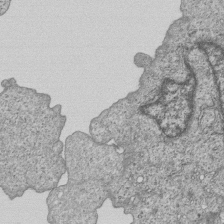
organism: Human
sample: MDA-MB-231 cells